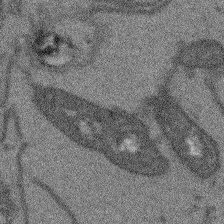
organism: Arabidopsis thaliana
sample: Root tip